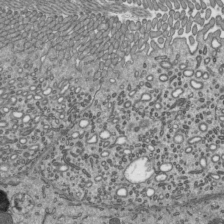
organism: Mouse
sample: Mouse epididymis efferent ductule cilia